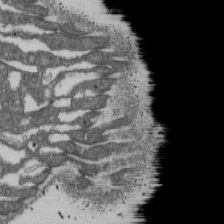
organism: Drosophila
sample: Nephrocyte